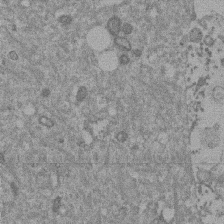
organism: Mouse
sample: Dividing mouse embryo 1 cell stage